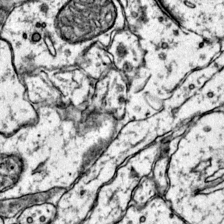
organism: Mouse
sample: Primary visual cortex